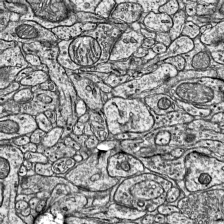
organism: Mouse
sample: Visual Cortex